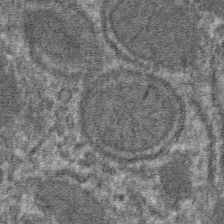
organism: Mouse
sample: Mouse hepatocytes